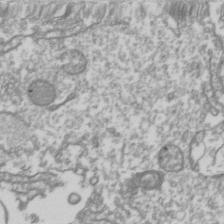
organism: Drosophila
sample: Cell division; meiosis; drosophila spermatocytes